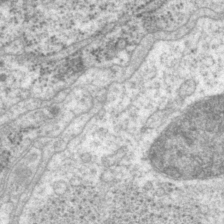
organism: P. pacificus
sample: Pharynx